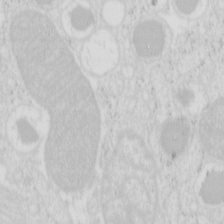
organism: Mouse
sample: Pancreas